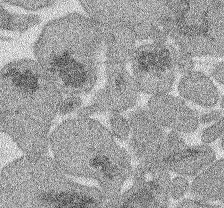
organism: Human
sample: HeLa cells